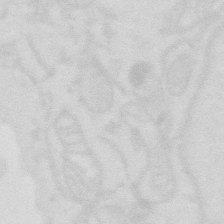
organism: Human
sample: HeLa cells